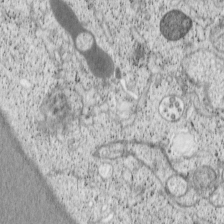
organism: African green monkey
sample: COS-7 cells